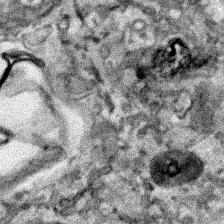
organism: Human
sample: Mitochondria in HCT116 cells